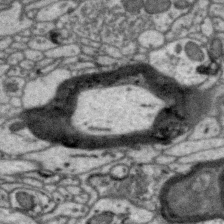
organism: Zebra finch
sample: Brain